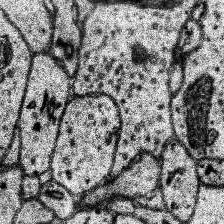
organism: Human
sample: Temporal Lobe